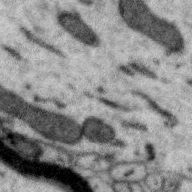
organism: Zebra finch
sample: Brain